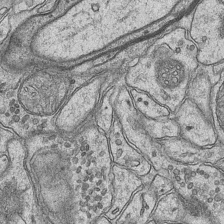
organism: Mouse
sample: CA1 Hippocampus